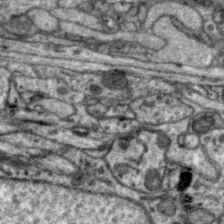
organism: Zebra finch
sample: Brain